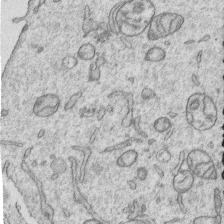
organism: Human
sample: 1205lu cells